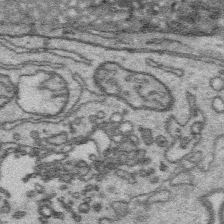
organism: Platynereis dumerilii